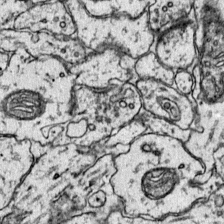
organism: Mouse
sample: Primary visual cortex